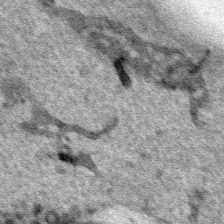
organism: Human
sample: Mitochondria in HCT116 cells